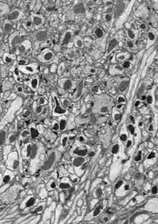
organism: Drosophila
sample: Optic lobe